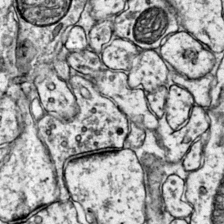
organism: Mouse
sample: Primary visual cortex